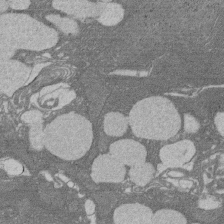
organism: Rat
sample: Salivary granule